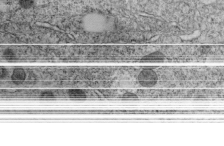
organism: C. elegans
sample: C. elegans embryo early stage